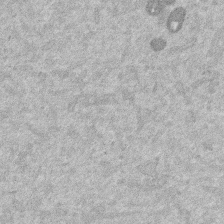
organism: Mouse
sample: Dividing mouse embryo 1 cell stage